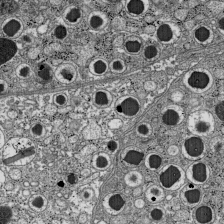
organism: C57BL Mouse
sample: Pancreatic islet